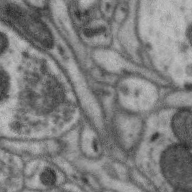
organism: Zebra finch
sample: Brain